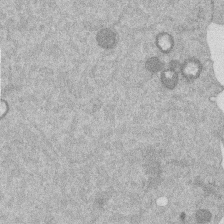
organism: Mouse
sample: Dividing mouse embryo 1 cell stage